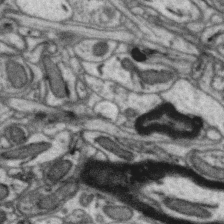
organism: Zebra finch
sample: Brain